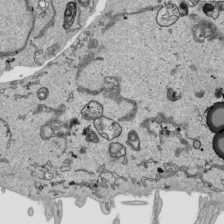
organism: Human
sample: Mitochondria in HCT116 cells